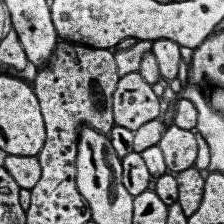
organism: Human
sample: Temporal Lobe